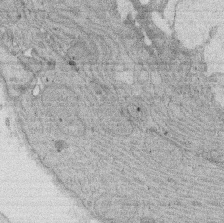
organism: Rat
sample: Salivary granule